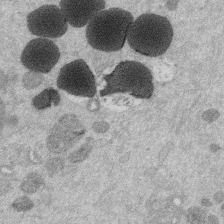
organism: Mouse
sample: Dividing mouse embryo 1 cell stage